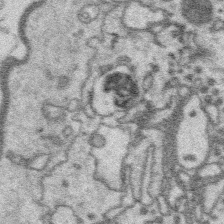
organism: Platynereis dumerilii